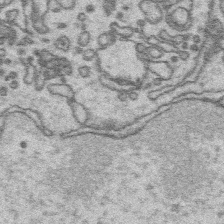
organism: Platynereis dumerilii